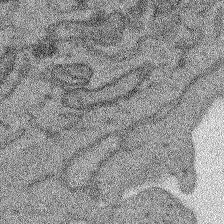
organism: Human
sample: HeLa cells